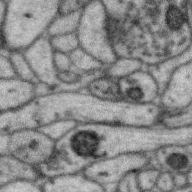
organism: Zebra finch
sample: Brain